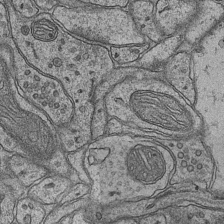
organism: Mouse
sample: CA1 Hippocampus